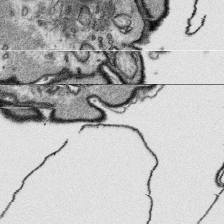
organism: Platynereis dumerilii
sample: Parapodia